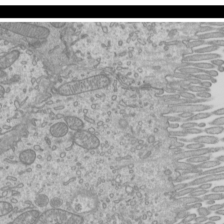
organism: Mouse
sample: Cilia; mouse epididymis